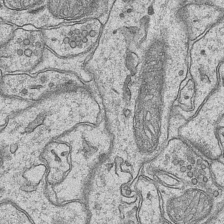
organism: Mouse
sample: CA1 Hippocampus